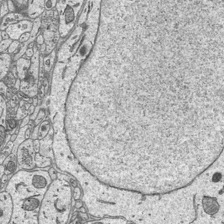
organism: Mouse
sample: Suprachiasmatic nucleus